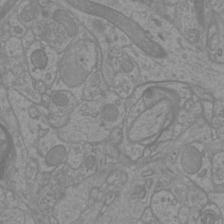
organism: Mouse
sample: Cortical neurons